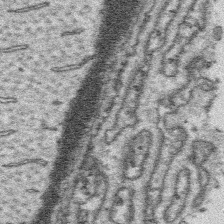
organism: Platynereis dumerilii